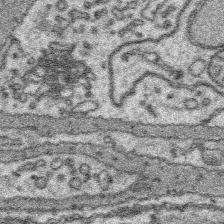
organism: Platynereis dumerilii